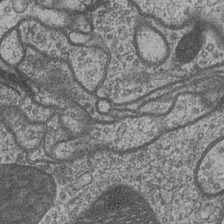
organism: Drosophila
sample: Optic medulla